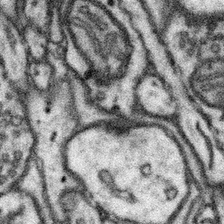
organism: Mouse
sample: Somatosensory cortex neuropil